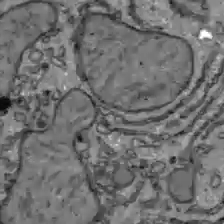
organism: C57BL Mouse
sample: Liver